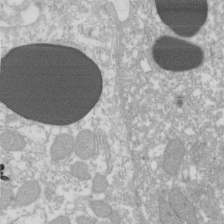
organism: Xenopus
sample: Cilia; centrioles in frog embryo cells